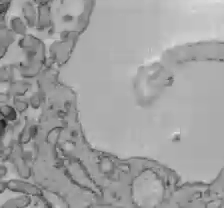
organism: C57BL Mouse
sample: Liver